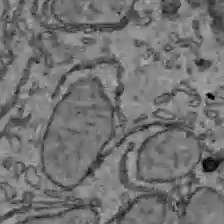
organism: C57BL Mouse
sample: Liver